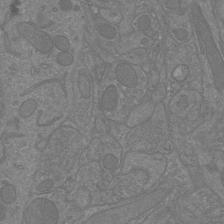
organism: Mouse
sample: Cortical neurons